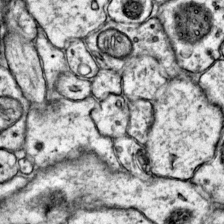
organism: Mouse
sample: Primary visual cortex